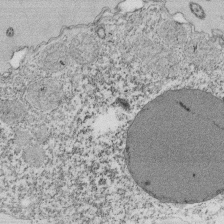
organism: Tetrahymena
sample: Cilia in tetrahymena